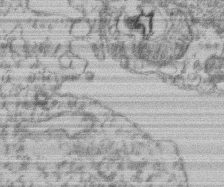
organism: Mouse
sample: T cell stromal cell synapse